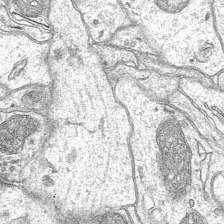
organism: Mouse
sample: CA1 Hippocampus